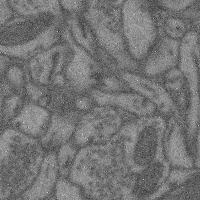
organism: Mouse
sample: Cerebral cortex